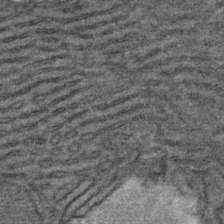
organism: Mouse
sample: Mouse Salivary gland